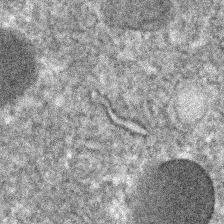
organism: C. elegans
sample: C. elegans embryo